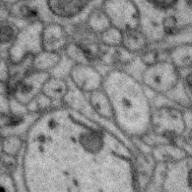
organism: Zebra finch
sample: Brain